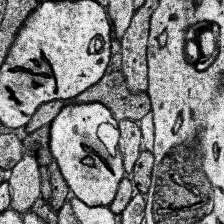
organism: Human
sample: Temporal Lobe